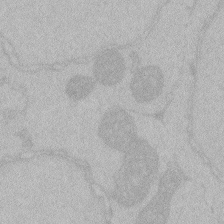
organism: Zebrafish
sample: Macrophage infected with Toxoplasma gondii